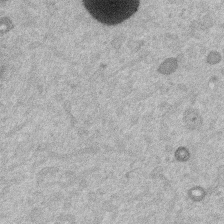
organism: Mouse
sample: Dividing mouse embryo 1 cell stage